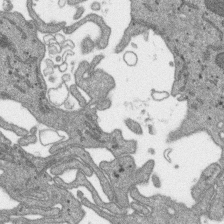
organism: Human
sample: Lung epithelial cells infected with SARS-CoV-2